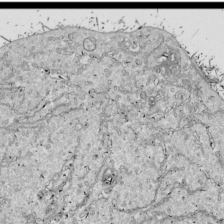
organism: Drosophila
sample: Cell division; meiosis; drosophila spermatocytes